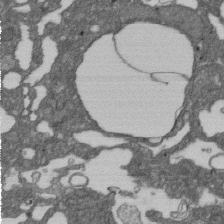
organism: Drosophila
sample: Nephrocyte